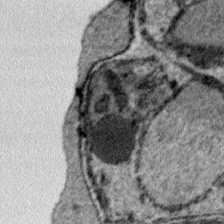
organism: Plasmodium falciparum